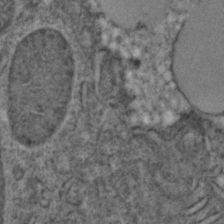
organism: C. elegans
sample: C. elegans embryo